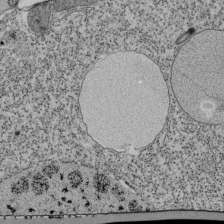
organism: Tetrahymena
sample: Cilia in tetrahymena